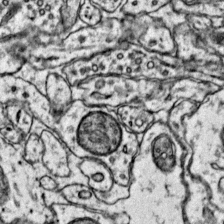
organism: Mouse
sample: Primary visual cortex